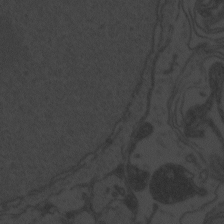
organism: Zebrafish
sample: Macrophage infected with Toxoplasma gondii